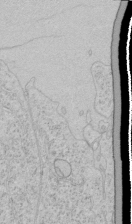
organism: Human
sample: Mitochondria in HCT116 cells